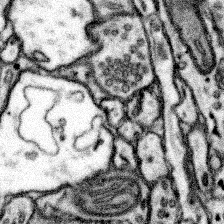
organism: Mouse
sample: Somatosensory cortex neuropil